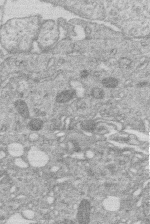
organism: Human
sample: Macrophage cells